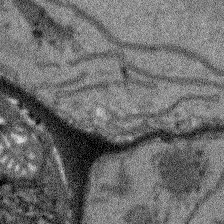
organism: Arabidopsis thaliana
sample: Root tip